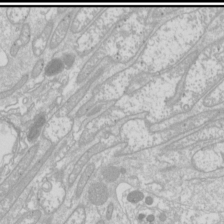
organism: Drosophila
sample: Cell division; meiosis; drosophila spermatocytes